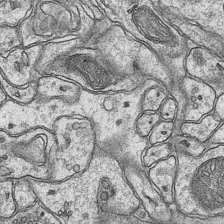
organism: Mouse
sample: CA1 Hippocampus